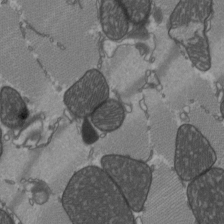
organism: C57BL Mouse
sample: Heart